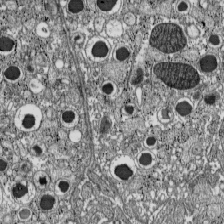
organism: C57BL Mouse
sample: Pancreatic islet